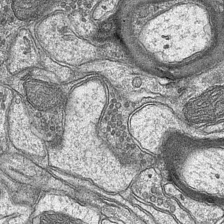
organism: Mouse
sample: CA1 Hippocampus